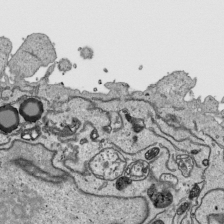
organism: Human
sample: Mitochondria in HCT116 cells